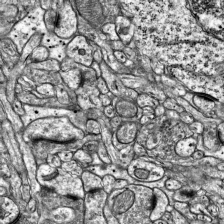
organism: Mouse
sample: Visual Cortex